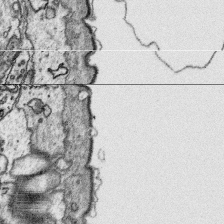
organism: Platynereis dumerilii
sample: Parapodia